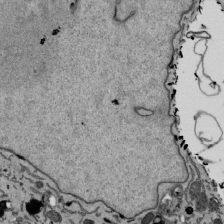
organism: Mouse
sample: ED-1 cell nuclei; centrioles